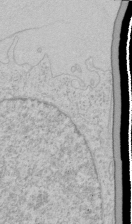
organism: Human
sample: Mitochondria in HCT116 cells